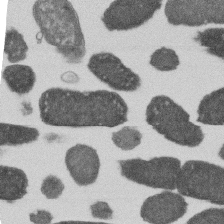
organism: E. coli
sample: Bacterial nucleoid